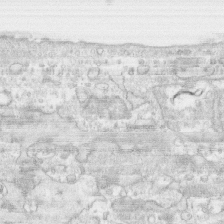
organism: Human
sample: CRL-1474